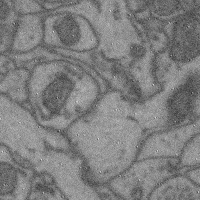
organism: Mouse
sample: Cerebral cortex